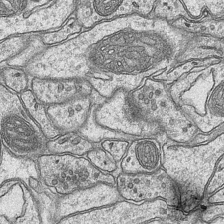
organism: Mouse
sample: CA1 Hippocampus